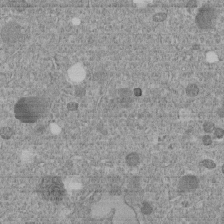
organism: C. elegans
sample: C. elegans embryo early stage